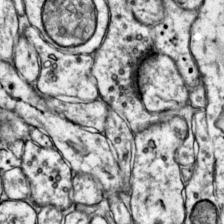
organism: Mouse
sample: Primary visual cortex